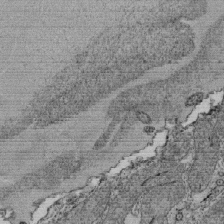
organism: Tetrahymena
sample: Cilia in tetrahymena